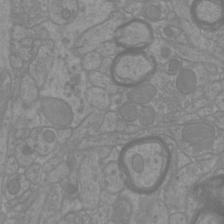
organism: Mouse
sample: Cortical neurons